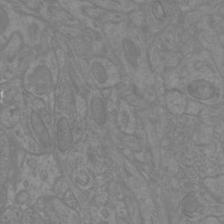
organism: Mouse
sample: Cortical neurons